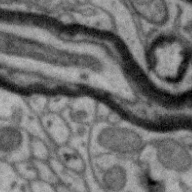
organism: Zebra finch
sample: Brain